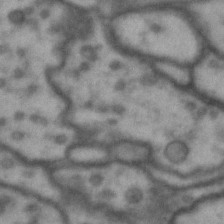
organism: Drosophila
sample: Brain